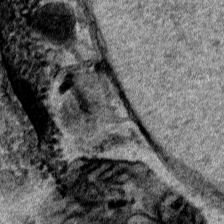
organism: Human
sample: Mitochondria in HCT116 cells